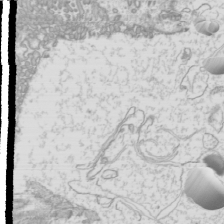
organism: Mouse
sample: Cilia; mouse epididymis